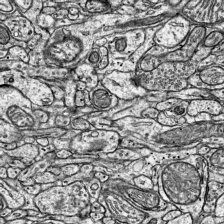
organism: Mouse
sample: Visual Cortex